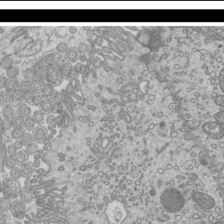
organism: Mouse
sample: Cilia; mouse epididymis